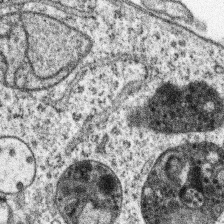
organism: Human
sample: HeLa cells